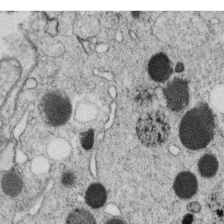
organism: C. elegans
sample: C. elegans oocyte; sperm cells